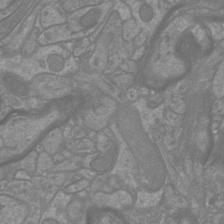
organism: Mouse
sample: Cortical neurons